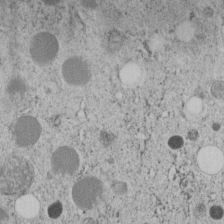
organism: C. elegans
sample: C. elegans embryo early stage